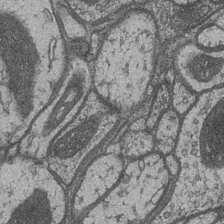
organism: Drosophila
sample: Optic medulla